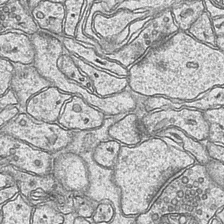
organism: Mouse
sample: CA1 Hippocampus